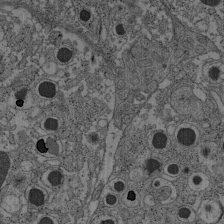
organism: C57BL Mouse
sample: Pancreatic islet